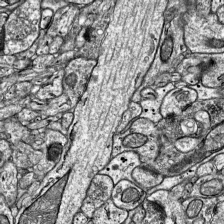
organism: Mouse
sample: Visual Cortex